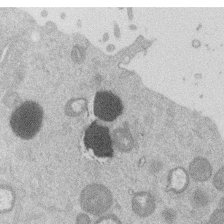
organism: Mouse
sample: Dividing mouse embryo 1 cell stage